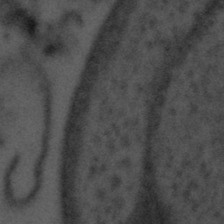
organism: Tuwongella immobilis